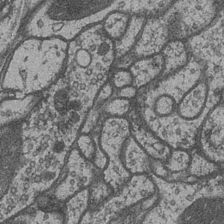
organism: Drosophila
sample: Optic medulla